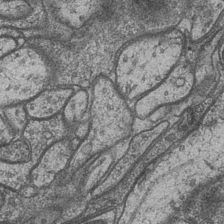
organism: Drosophila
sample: Optic medulla